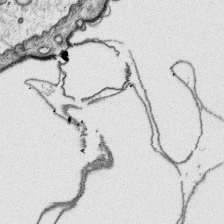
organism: Platynereis dumerilii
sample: Parapodia